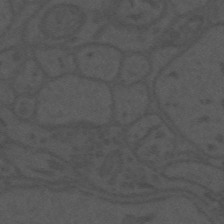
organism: Mouse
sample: Suprachiasmatic nucleus